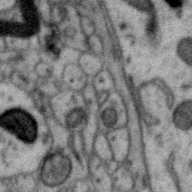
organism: Zebra finch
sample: Brain